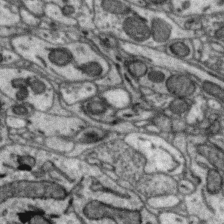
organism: Zebra finch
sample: Brain